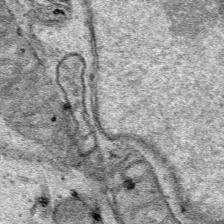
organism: Human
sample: Mitochondria in HCT116 cells